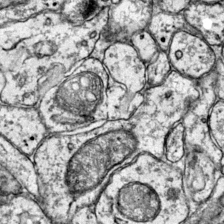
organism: Mouse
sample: Primary visual cortex